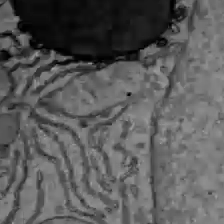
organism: C57BL Mouse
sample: Liver